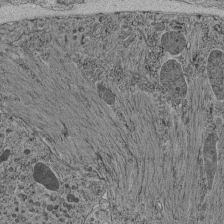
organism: C. elegans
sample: C. elegans pharynx